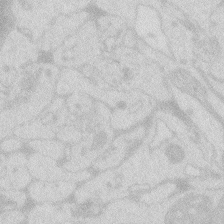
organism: Zebrafish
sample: Macrophage